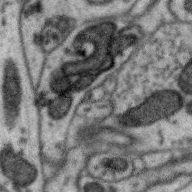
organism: Zebra finch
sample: Brain